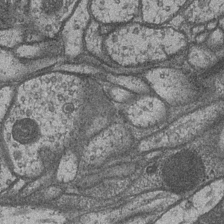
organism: Drosophila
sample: Optic medulla